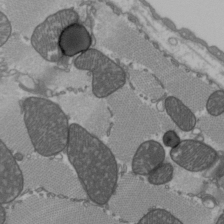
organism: C57BL Mouse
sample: Heart